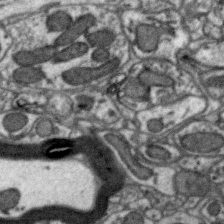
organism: Zebra finch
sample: Brain